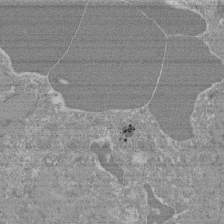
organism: Mouse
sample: Glomerulus